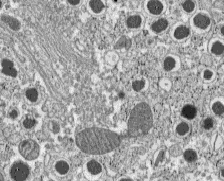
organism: C57BL Mouse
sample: Pancreatic islet